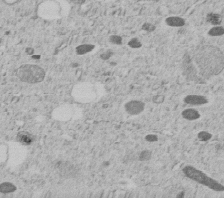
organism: C. elegans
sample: C. elegans embryo early stage